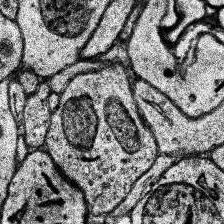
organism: Human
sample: Temporal Lobe